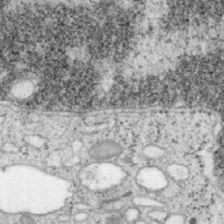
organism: Mouse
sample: OT-I killer T cells with ID8 ovarian cancer cells